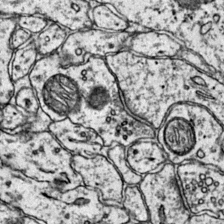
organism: Mouse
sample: Primary visual cortex